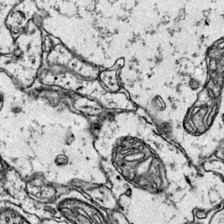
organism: Mouse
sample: Primary visual cortex